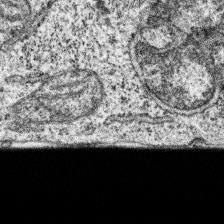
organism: Human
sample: HeLa cells